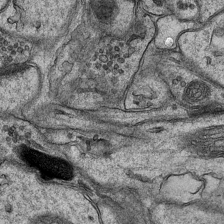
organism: Mouse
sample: CA1 Hippocampus